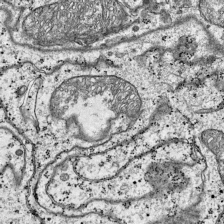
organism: Mouse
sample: Visual Cortex